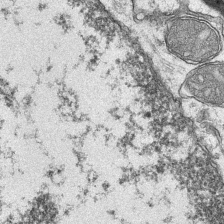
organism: Mouse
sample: CA1 Hippocampus